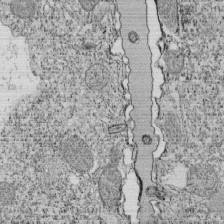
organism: Tetrahymena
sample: Cilia in tetrahymena